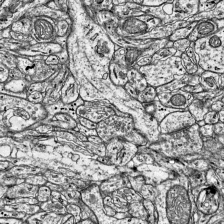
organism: Mouse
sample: Visual Cortex